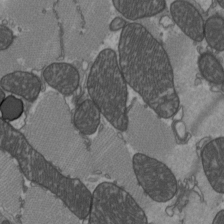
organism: C57BL Mouse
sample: Heart